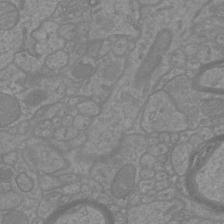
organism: Mouse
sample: Cortical neurons